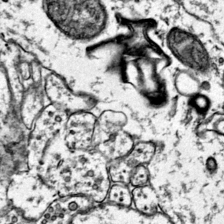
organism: Mouse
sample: Primary visual cortex